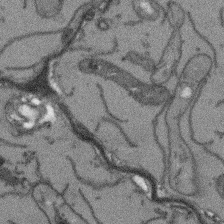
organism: Arabidopsis thaliana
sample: Root tip